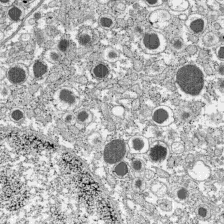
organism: C57BL Mouse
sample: Pancreatic islet